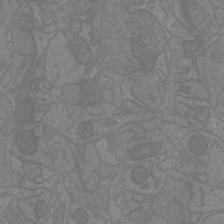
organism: Mouse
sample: Cortical neurons